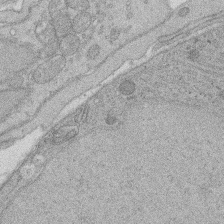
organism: Rat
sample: Salivary granule